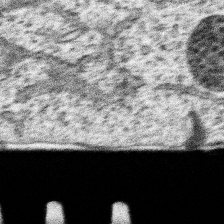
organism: Human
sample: HeLa cells